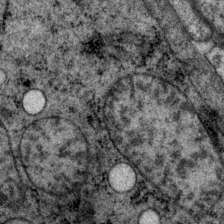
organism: P. pacificus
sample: Pharynx